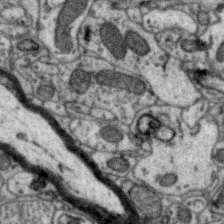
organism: Zebra finch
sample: Brain